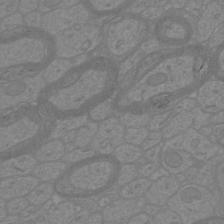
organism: Mouse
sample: Cortical neurons